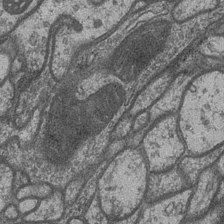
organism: Drosophila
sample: Optic medulla